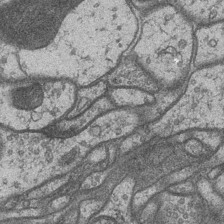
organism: Drosophila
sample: Optic medulla